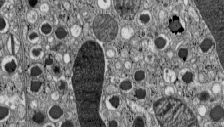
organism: C57BL Mouse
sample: Pancreatic islet